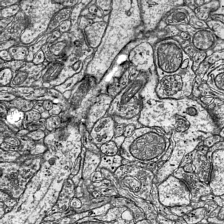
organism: Mouse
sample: Visual Cortex